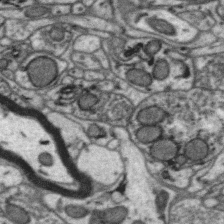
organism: Zebra finch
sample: Brain